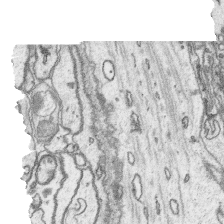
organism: Platynereis dumerilii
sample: Parapodia